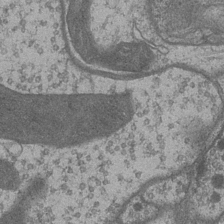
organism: Drosophila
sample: Optic medulla